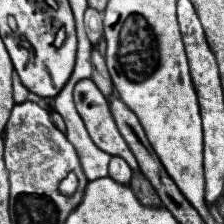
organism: Human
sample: Temporal Lobe